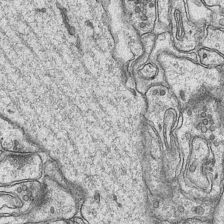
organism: Mouse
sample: CA1 Hippocampus